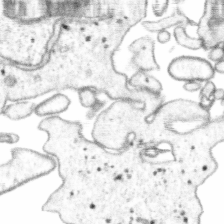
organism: Human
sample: HeLa cells